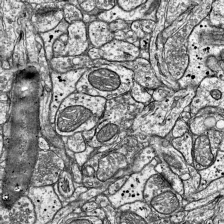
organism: Mouse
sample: Visual Cortex